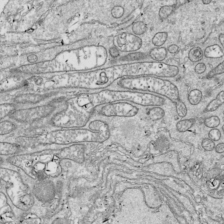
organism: Drosophila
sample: Cell division; meiosis; drosophila spermatocytes